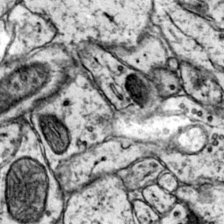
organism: Mouse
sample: Primary visual cortex